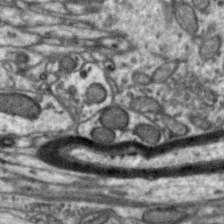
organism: Zebra finch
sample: Brain